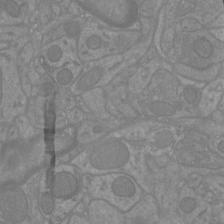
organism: Mouse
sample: Cortical neurons